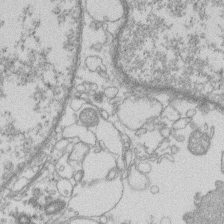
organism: Human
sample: Macrophage cells